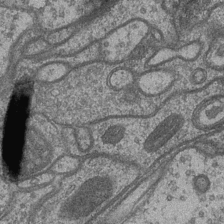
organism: Drosophila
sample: Optic medulla